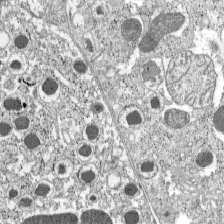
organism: C57BL Mouse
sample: Pancreatic islet